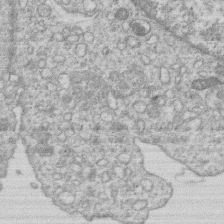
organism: Human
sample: Macrophage cells